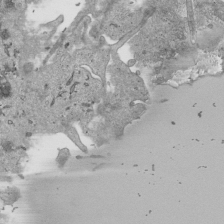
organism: Human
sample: Mitochondria in HCT116 cells